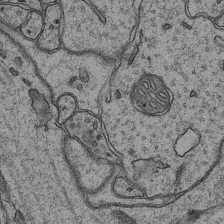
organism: Mouse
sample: CA1 Hippocampus